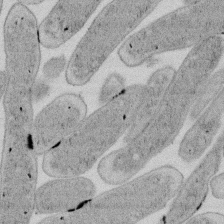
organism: E. coli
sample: Bacterial nucleoid